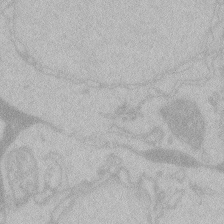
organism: Zebrafish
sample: Macrophage infected with Toxoplasma gondii